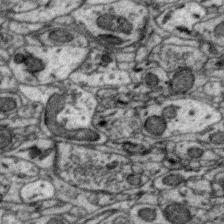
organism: Zebra finch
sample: Brain